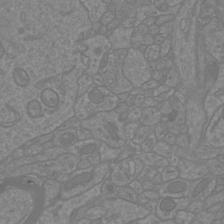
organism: Mouse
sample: Cortical neurons